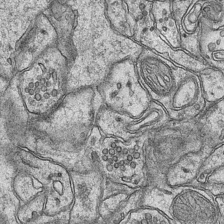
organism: Mouse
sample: CA1 Hippocampus